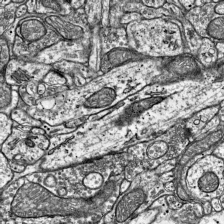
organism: Mouse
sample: Visual Cortex